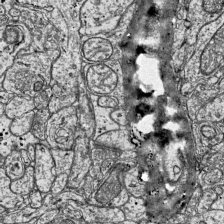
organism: Mouse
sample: Visual Cortex